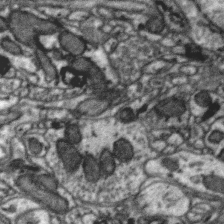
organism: Zebra finch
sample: Brain